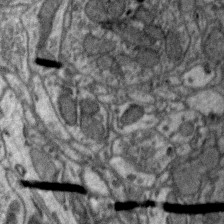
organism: Zebra finch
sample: Brain